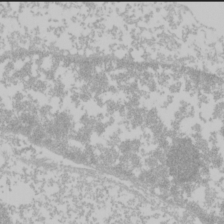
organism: Mouse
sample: Cancer cell death in ED-1 cells